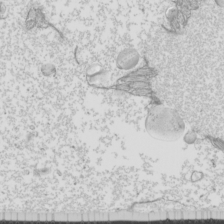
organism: Mouse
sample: Cilia; mouse epididymis